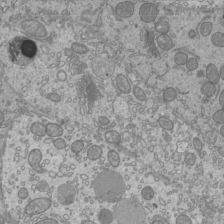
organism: Mouse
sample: Cilia; mouse epididymis